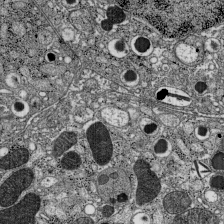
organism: C57BL Mouse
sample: Pancreatic islet